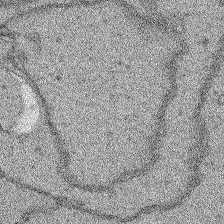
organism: Human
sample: HeLa cells